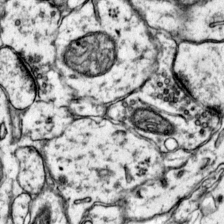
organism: Mouse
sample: Primary visual cortex